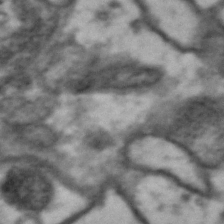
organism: Drosophila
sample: Brain